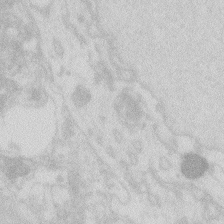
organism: Zebrafish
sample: Macrophage